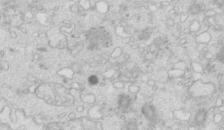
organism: Mouse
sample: Multiciliated cells